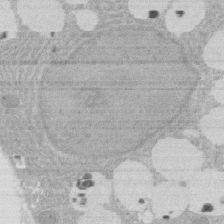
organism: Rat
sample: Salivary granule